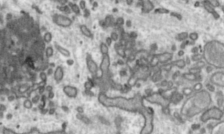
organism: Toxoplasma gondii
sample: Parasites in a vacuole inside a host cell